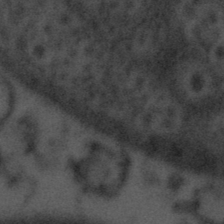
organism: Tuwongella immobilis